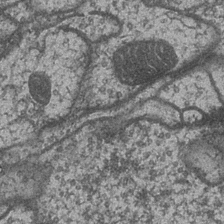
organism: Drosophila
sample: Optic medulla